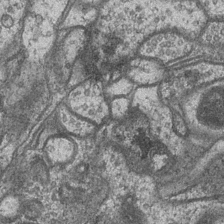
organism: Drosophila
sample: Optic medulla